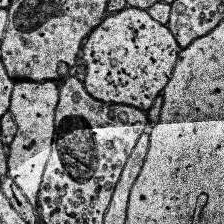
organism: Human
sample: Temporal Lobe